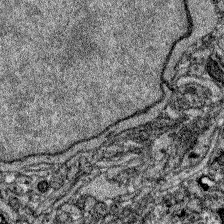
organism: Zebrafish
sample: Larval olfactory bulb